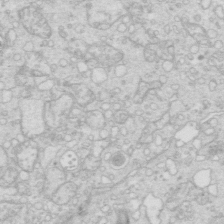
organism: Mouse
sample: Multiciliated cells